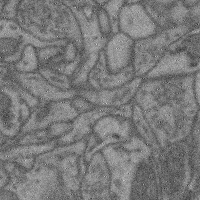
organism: Mouse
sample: Cerebral cortex